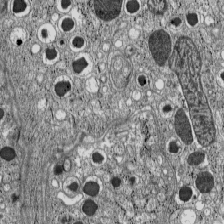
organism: C57BL Mouse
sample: Pancreatic islet